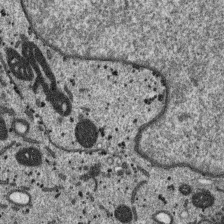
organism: Human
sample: Lung epithelial cells infected with SARS-CoV-2